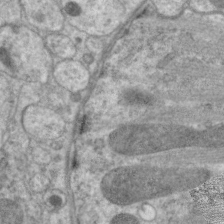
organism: C. elegans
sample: Pharynx